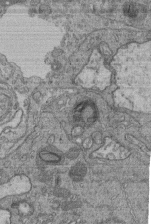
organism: Human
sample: Retinal organoid Rod and Cone cells